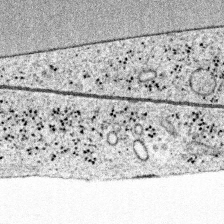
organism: Human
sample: HeLa cells